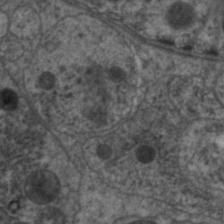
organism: C. elegans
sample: Pharynx